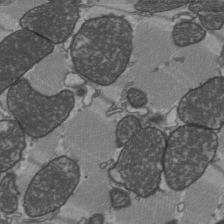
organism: C57BL Mouse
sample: Heart